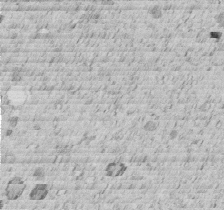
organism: C. elegans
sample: C. elegans embryo early stage